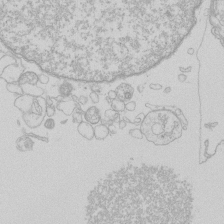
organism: Human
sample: Macrophage cells